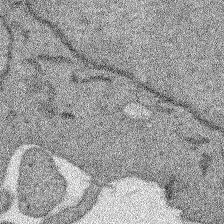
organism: Human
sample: HeLa cells